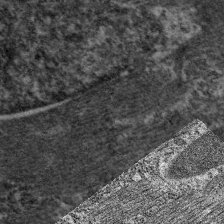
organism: C. elegans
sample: Pharynx